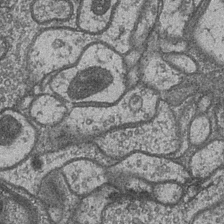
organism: Drosophila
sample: Optic medulla